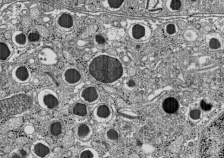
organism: C57BL Mouse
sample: Pancreatic islet